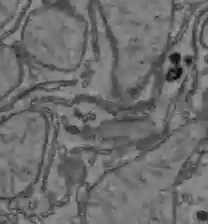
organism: C57BL Mouse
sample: Liver